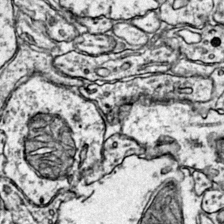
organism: Mouse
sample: Primary visual cortex